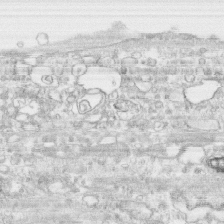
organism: Human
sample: CRL-1474